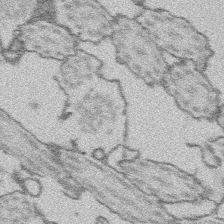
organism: Platynereis dumerilii